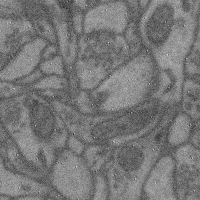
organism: Mouse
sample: Cerebral cortex